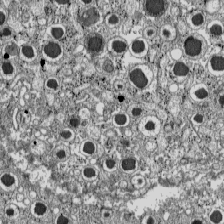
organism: C57BL Mouse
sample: Pancreatic islet